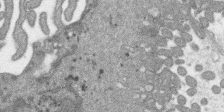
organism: Human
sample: Lung epithelial cells infected with SARS-CoV-2